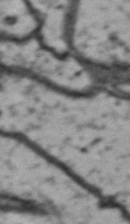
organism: Drosophila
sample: Brain